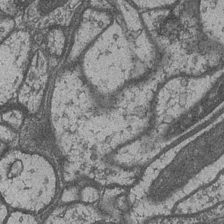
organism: Drosophila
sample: Optic medulla